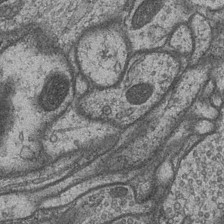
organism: Drosophila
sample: Optic medulla